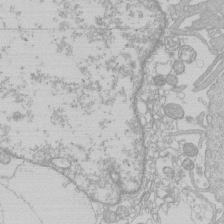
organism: Human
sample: Macrophage cells